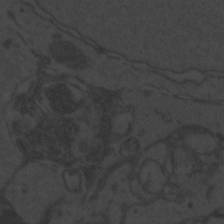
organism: Zebrafish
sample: Macrophage infected with Toxoplasma gondii